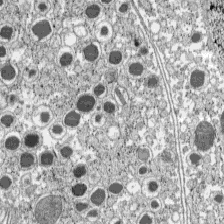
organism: C57BL Mouse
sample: Pancreatic islet